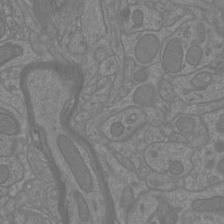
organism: Mouse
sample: Cortical neurons